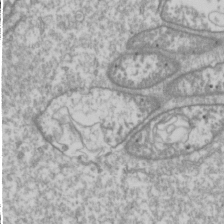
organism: Drosophila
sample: Cell division; meiosis; drosophila spermatocytes